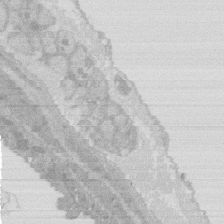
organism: Rat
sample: Salivary granule